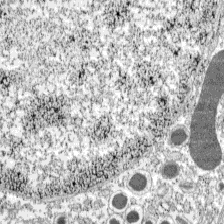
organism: C57BL Mouse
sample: Pancreatic islet